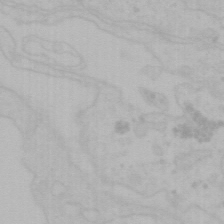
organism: Mouse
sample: Choroid plexus